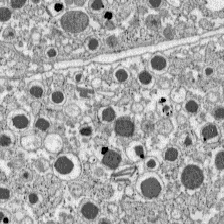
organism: C57BL Mouse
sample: Pancreatic islet